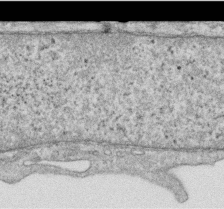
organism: Human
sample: Centriole in RPE cells